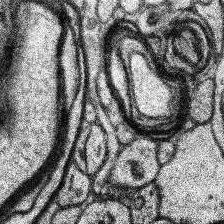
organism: Human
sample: Temporal Lobe